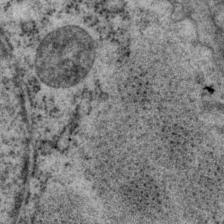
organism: P. pacificus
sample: Pharynx